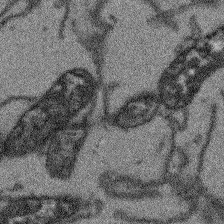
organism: Arabidopsis thaliana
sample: Root tip